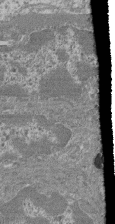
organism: Mouse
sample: Glomerulus